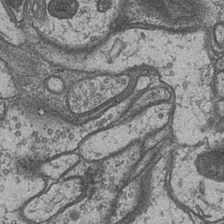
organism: Drosophila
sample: Optic medulla